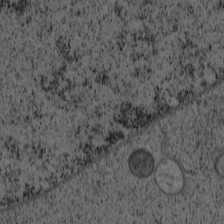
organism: African green monkey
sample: COS-7 cells